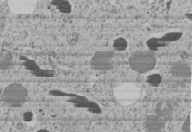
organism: C. elegans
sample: C. elegans embryo early stage